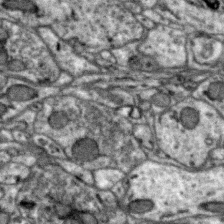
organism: Zebra finch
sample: Brain